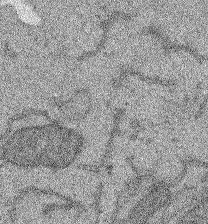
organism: Human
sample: HeLa cells